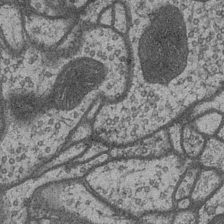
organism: Drosophila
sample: Optic medulla